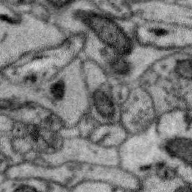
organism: Zebra finch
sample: Brain